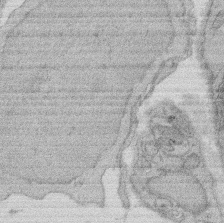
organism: Rat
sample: Salivary granule